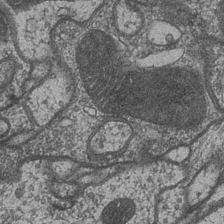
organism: Drosophila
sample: Optic medulla